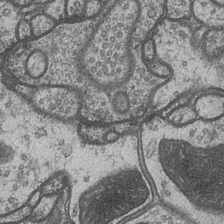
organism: Drosophila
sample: Optic medulla